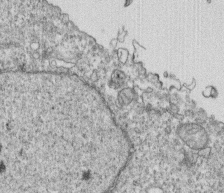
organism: Human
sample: HeLa cell HIV synapse